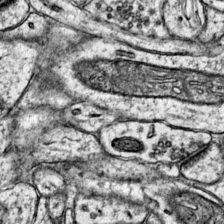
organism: Mouse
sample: Primary visual cortex